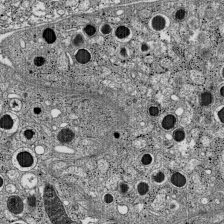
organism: C57BL Mouse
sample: Pancreatic islet